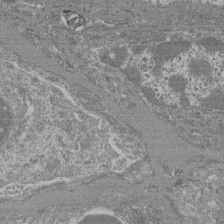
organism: Mouse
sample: Glomerulus